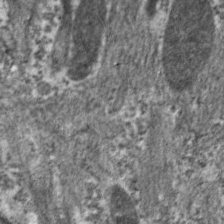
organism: C. elegans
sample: Pharynx